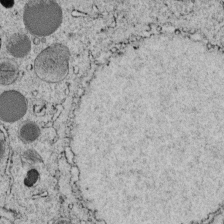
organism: C. elegans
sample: C. elegans embryo early stage